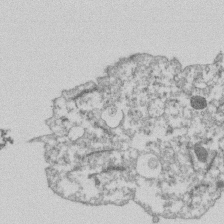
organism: Dictyostelium discoideum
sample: Dictyostelium multivesicular bodies